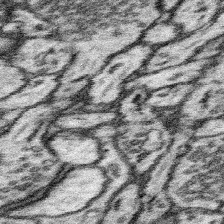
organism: Mouse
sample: Somatosensory cortex neuropil